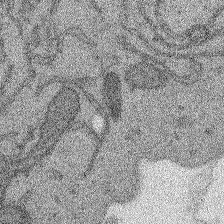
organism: Human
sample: HeLa cells